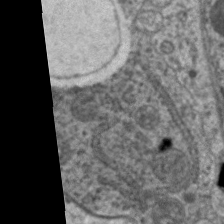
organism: C. elegans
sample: Pharynx